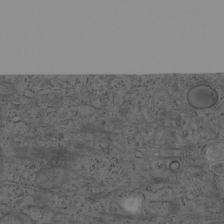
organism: Human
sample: HeLa cells